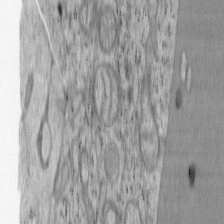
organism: Human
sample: HeLa cells